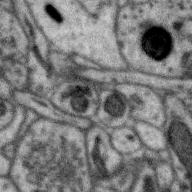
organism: Zebra finch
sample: Brain